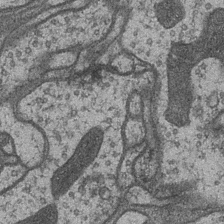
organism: Drosophila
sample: Optic medulla